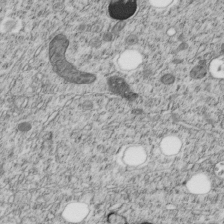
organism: C. elegans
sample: C. elegans embryo early stage